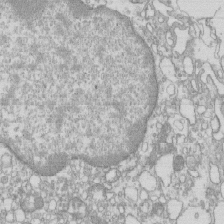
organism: Mouse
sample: Macrophages